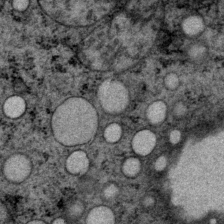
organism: P. pacificus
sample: Pharynx